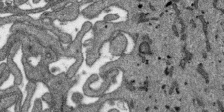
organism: Human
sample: Lung epithelial cells, uninfected (mock) control